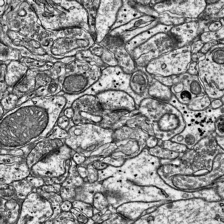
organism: Mouse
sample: Visual Cortex